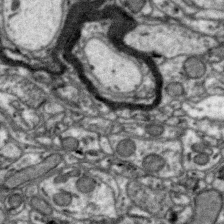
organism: Zebra finch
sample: Brain